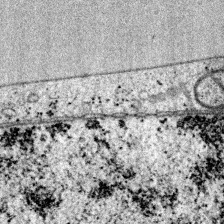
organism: Human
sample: HeLa cells